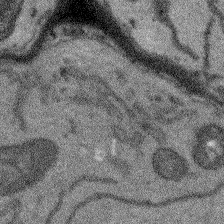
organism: Arabidopsis thaliana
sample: Root tip